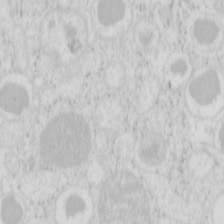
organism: Mouse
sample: Pancreas